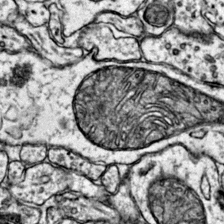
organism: Mouse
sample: Primary visual cortex